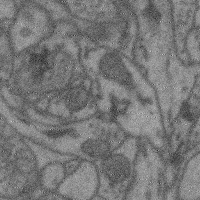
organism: Mouse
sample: Cerebral cortex